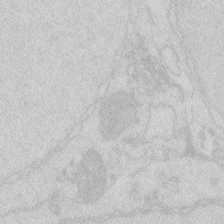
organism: Zebrafish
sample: Macrophage